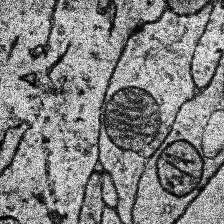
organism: Human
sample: Temporal Lobe